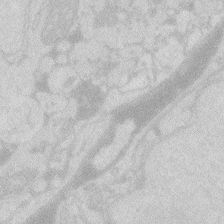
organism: Zebrafish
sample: Macrophage